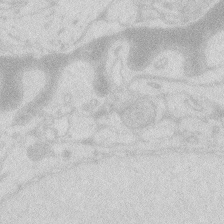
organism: Zebrafish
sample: Macrophage